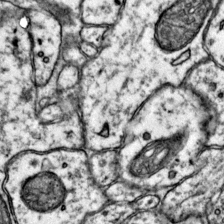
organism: Mouse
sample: Primary visual cortex